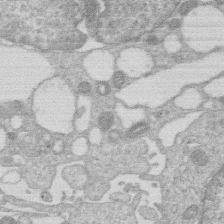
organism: Human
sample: Macrophage cells